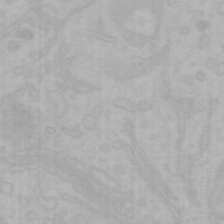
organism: Mouse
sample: Choroid plexus